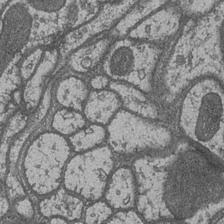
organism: Drosophila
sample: Optic medulla